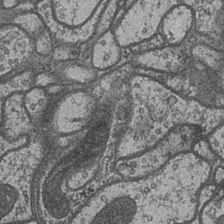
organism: Drosophila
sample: Optic medulla